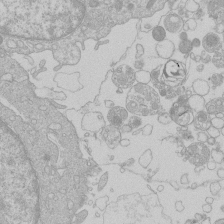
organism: Human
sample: Macrophage cells